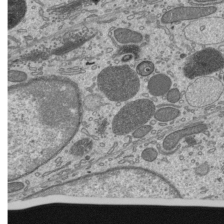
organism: Mouse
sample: Mouse epididymis efferent ductule cilia